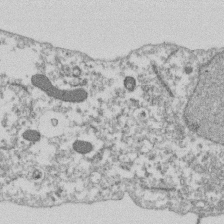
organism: Dictyostelium discoideum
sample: Dictyostelium multivesicular bodies